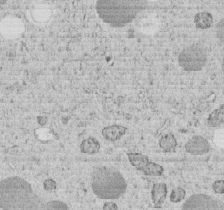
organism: C. elegans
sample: C. elegans embryo early stage